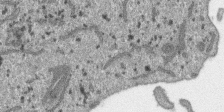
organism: Human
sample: Lung epithelial cells infected with SARS-CoV-2